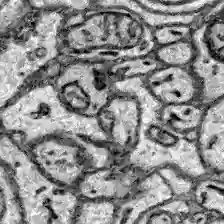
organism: Zebrafish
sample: Brain